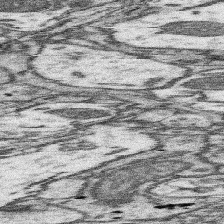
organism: Mouse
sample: Somatosensory cortex neuropil